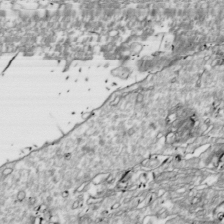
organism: Drosophila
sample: Cell division; meiosis; drosophila spermatocytes